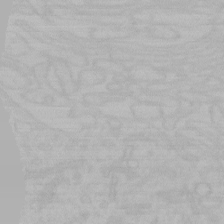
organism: Mouse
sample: Choroid plexus